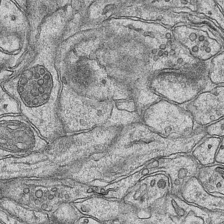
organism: Mouse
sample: CA1 Hippocampus